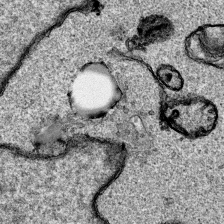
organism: Human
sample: Mitochondria in HCT116 cells